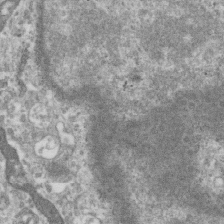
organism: Human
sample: Centriole in RPE cells